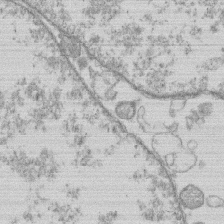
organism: Human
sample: Macrophage cells